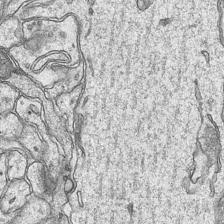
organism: Mouse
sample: CA1 Hippocampus